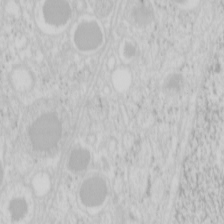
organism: Mouse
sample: Pancreas